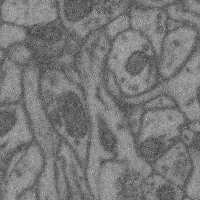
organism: Mouse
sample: Cerebral cortex